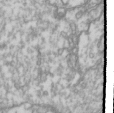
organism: Drosophila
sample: Cell division; meiosis; drosophila spermatocytes